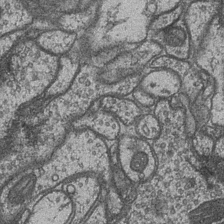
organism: Drosophila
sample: Optic medulla